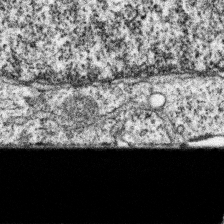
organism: Human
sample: HeLa cells